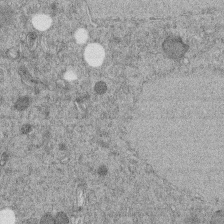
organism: C. elegans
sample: C. elegans embryo early stage